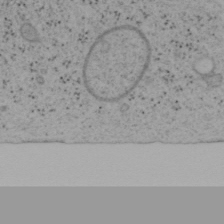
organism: Human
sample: HeLa cells